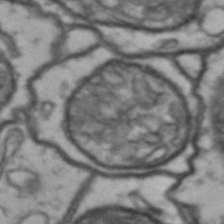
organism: Drosophila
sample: Brain